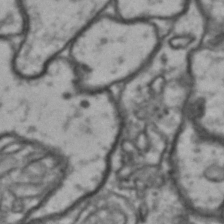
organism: Drosophila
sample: Brain